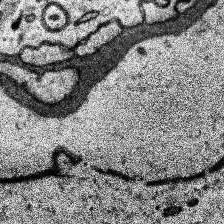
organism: Human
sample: Temporal Lobe